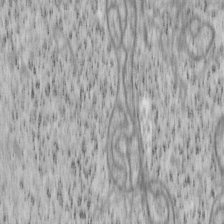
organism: Human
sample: HeLa cells